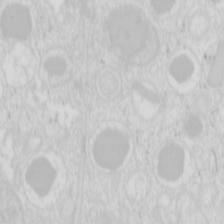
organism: Mouse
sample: Pancreas